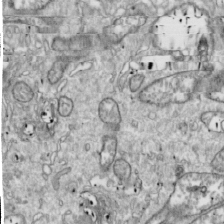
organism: Drosophila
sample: Cell division; meiosis; drosophila spermatocytes